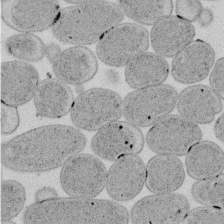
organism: E. coli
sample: Bacterial nucleoid